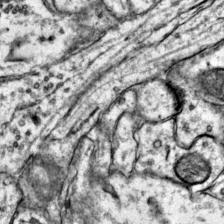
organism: Mouse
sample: Primary visual cortex